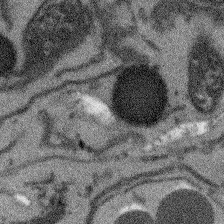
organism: Arabidopsis thaliana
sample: Root tip